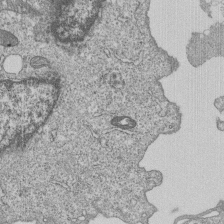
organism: Human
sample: MDA-MB-231 cells